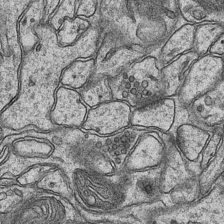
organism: Mouse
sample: CA1 Hippocampus